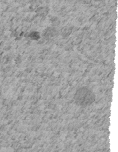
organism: C. elegans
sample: C. elegans embryo early stage